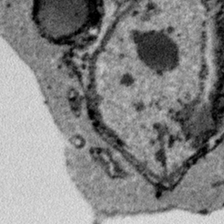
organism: Plasmodium falciparum